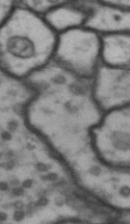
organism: Drosophila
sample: Brain